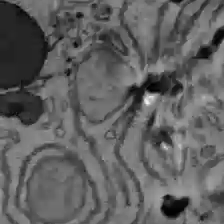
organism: C57BL Mouse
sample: Liver